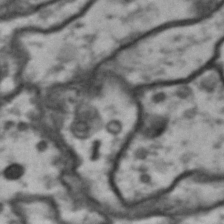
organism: Drosophila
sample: Brain